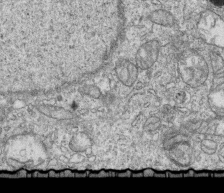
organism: Human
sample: HeLa cell HIV synapse